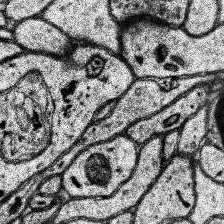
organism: Human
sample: Temporal Lobe